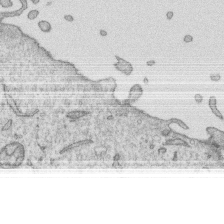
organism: Human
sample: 1205lu cells